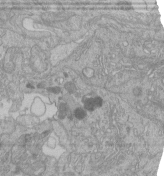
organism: Human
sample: Retinal organoid Rod and Cone cells